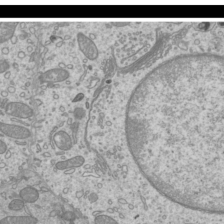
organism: Mouse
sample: Cilia; mouse epididymis